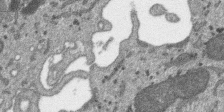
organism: Human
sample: Lung epithelial cells infected with SARS-CoV-2